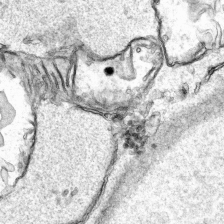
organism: Human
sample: Mitochondria in HCT116 cells